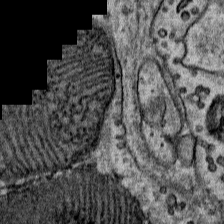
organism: Mouse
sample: Mouse Salivary gland